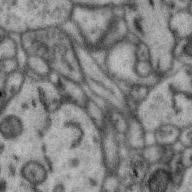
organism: Zebra finch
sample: Brain